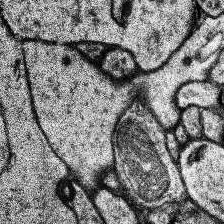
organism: Human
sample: Temporal Lobe